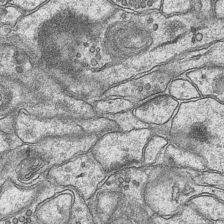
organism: Mouse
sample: CA1 Hippocampus